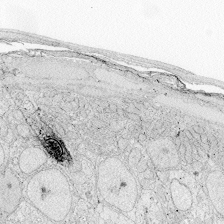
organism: Zebrafish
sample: Whole-Brain